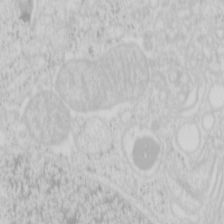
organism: Mouse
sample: Pancreas